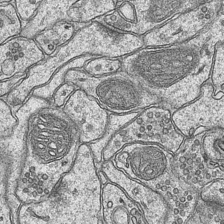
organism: Mouse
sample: CA1 Hippocampus